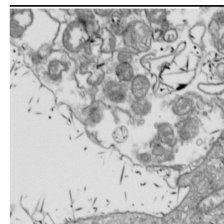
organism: Drosophila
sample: Cell division; meiosis; drosophila spermatocytes